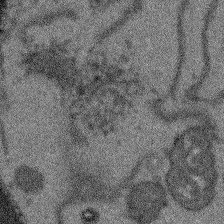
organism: Arabidopsis thaliana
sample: Root tip